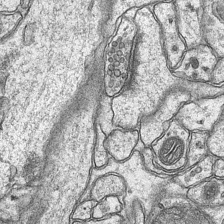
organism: Mouse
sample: CA1 Hippocampus